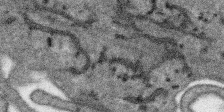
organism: Human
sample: Lung epithelial cells infected with SARS-CoV-2